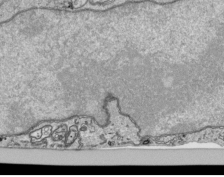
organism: Human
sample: Mitochondria in HCT116 cells